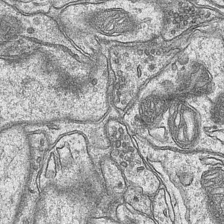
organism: Mouse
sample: CA1 Hippocampus